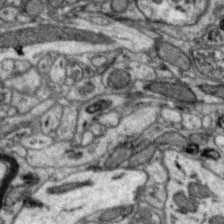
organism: Zebra finch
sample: Brain